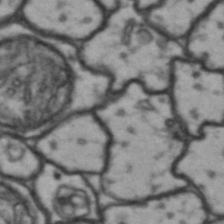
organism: Drosophila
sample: Brain